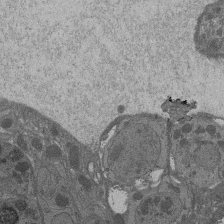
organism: Drosophila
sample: Antenna